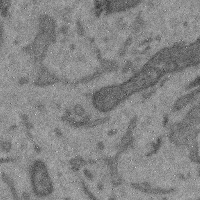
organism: Mouse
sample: Cerebral cortex